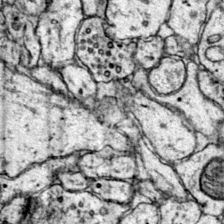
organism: Mouse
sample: Primary visual cortex